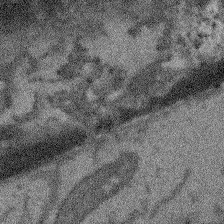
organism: Arabidopsis thaliana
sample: Root tip